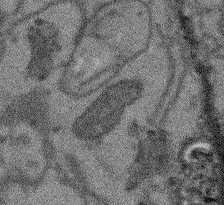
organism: Arabidopsis thaliana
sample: Root tip